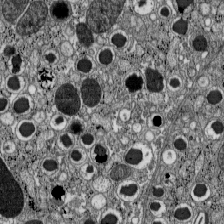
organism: C57BL Mouse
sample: Pancreatic islet